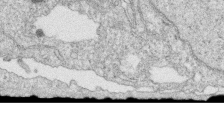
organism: Human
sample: HeLa cell HIV synapse